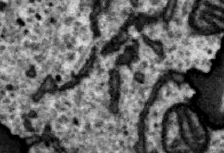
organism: Human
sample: HeLa cells